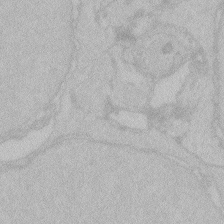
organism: Zebrafish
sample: Macrophage infected with Toxoplasma gondii